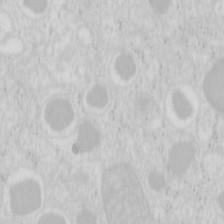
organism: Mouse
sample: Pancreas